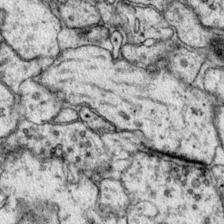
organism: Mouse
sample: Primary visual cortex